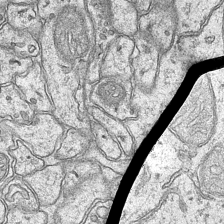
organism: Mouse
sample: CA1 Hippocampus